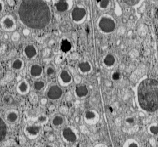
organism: C57BL Mouse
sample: Pancreatic islet